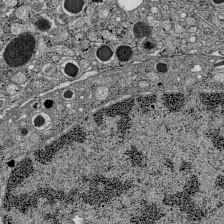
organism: C57BL Mouse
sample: Pancreatic islet